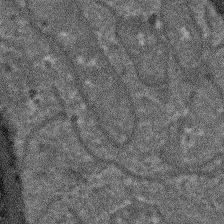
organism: Arabidopsis thaliana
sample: Root tip